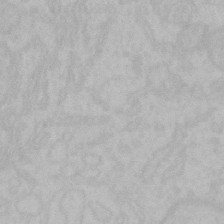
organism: Mouse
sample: Choroid plexus